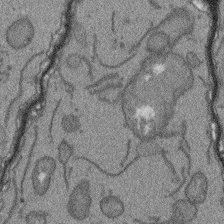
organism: Arabidopsis thaliana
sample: Root tip